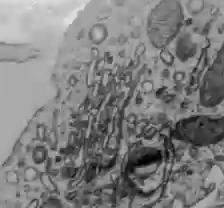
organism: C57BL Mouse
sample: Liver